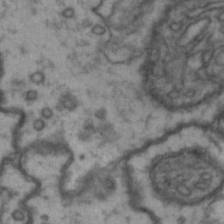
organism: Drosophila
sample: Brain